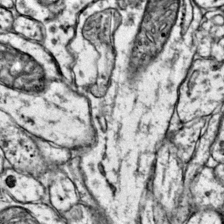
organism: Mouse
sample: Primary visual cortex